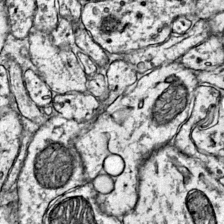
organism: Mouse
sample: Primary visual cortex